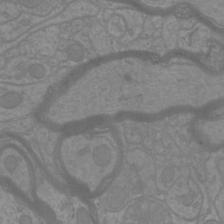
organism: Mouse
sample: Cortical neurons